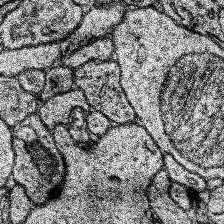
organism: Human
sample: Temporal Lobe